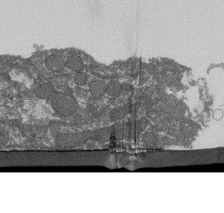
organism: Dictyostelium discoideum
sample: Dictyostelium multivesicular bodies